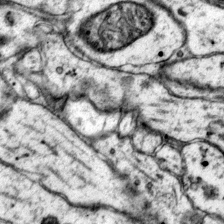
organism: Mouse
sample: Primary visual cortex